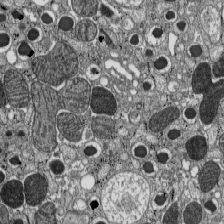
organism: C57BL Mouse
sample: Pancreatic islet